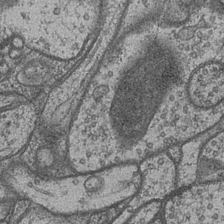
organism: Drosophila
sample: Optic medulla